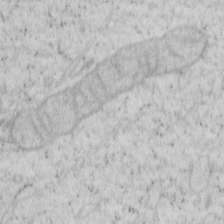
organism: Human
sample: HeLa cells